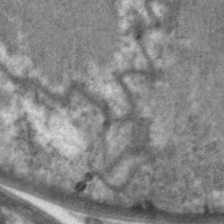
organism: C. elegans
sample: Pharynx